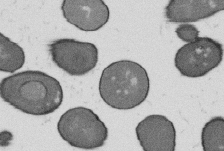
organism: B. subtilis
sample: Bacterial spore